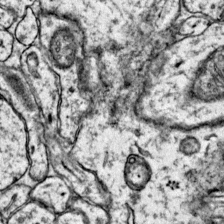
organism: Mouse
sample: Primary visual cortex